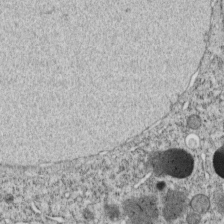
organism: C. elegans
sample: C. elegans embryo early stage